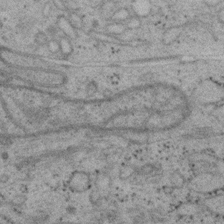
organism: Human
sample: HeLa cells